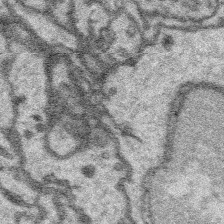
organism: Platynereis dumerilii